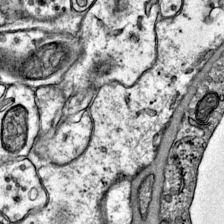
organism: Mouse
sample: Primary visual cortex